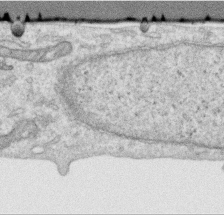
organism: Human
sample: Centriole in RPE cells